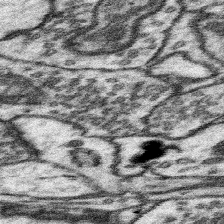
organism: Mouse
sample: Somatosensory cortex neuropil